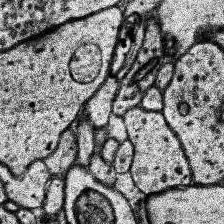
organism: Human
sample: Temporal Lobe